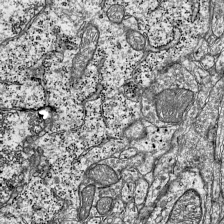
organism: Mouse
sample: Visual Cortex